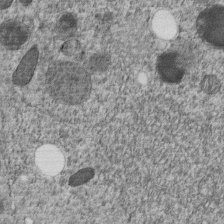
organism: C. elegans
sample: C. elegans embryo early stage